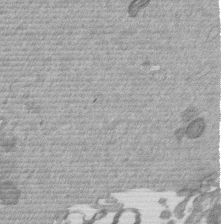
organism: Mouse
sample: Dividing mouse embryo 1 cell stage